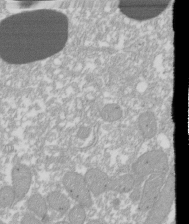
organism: Xenopus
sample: Cilia; centrioles in frog embryo cells